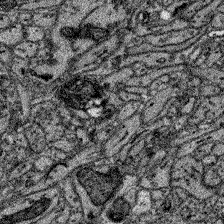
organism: Zebrafish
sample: Larval olfactory bulb